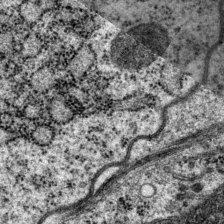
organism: P. pacificus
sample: Pharynx